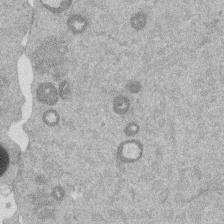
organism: Mouse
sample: Dividing mouse embryo 1 cell stage